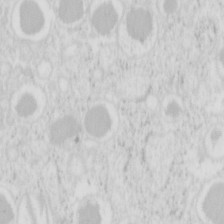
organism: Mouse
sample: Pancreas